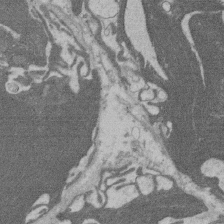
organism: Rat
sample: Salivary granule